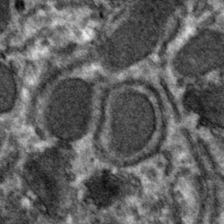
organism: Mouse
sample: Mouse hepatocytes